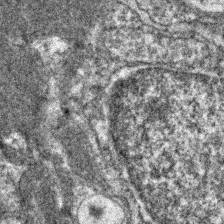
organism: Zebrafish